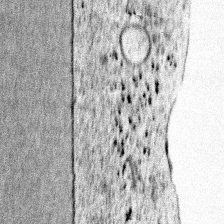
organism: Human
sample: HeLa cells